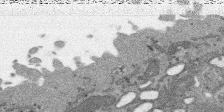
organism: Human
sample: Lung epithelial cells infected with SARS-CoV-2